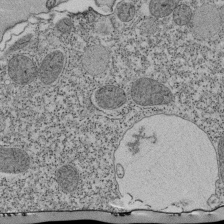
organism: Tetrahymena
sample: Cilia in tetrahymena